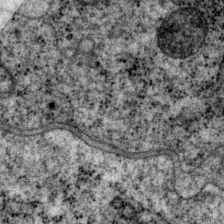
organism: P. pacificus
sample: Pharynx